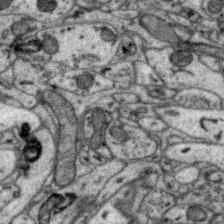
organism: Zebra finch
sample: Brain